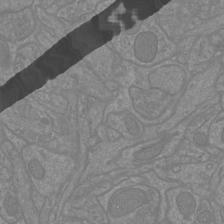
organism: Mouse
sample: Cortical neurons